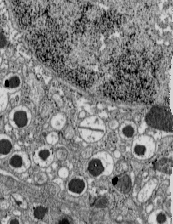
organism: C57BL Mouse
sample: Pancreatic islet